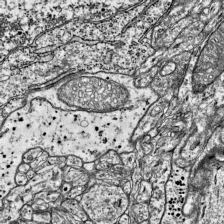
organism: Mouse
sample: Visual Cortex